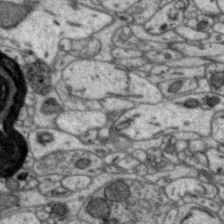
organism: Zebra finch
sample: Brain